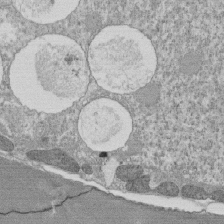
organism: Tetrahymena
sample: Cilia in tetrahymena